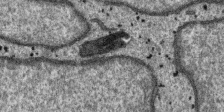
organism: Human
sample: Lung epithelial cells, uninfected (mock) control